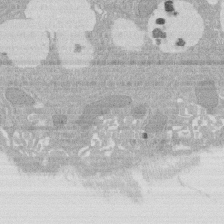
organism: Rat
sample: Salivary granule